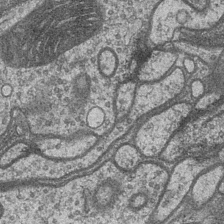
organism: Drosophila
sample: Optic medulla